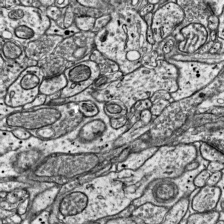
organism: Mouse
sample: Visual Cortex